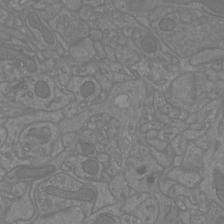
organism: Mouse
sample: Cortical neurons